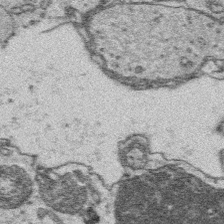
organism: Platynereis dumerilii